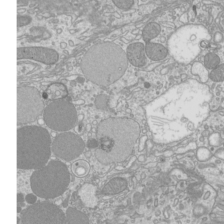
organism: Mouse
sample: Cilia; mouse epididymis